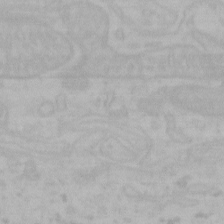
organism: Mouse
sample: Choroid plexus